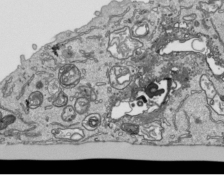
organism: Human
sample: Mitochondria in HCT116 cells